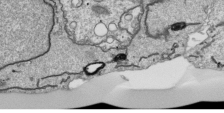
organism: Human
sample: Mitochondria in HCT116 cells